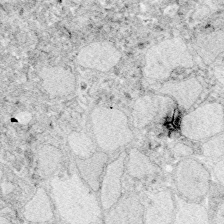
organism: Zebrafish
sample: Whole-Brain